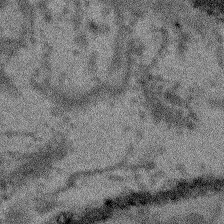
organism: Arabidopsis thaliana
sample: Root tip